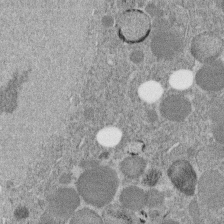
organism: C. elegans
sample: C. elegans embryo early stage